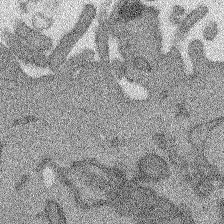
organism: Human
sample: HeLa cells